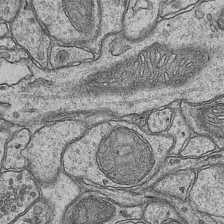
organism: Mouse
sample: CA1 Hippocampus